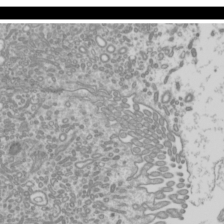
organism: Mouse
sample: Cilia; mouse epididymis